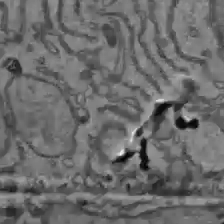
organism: C57BL Mouse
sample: Liver